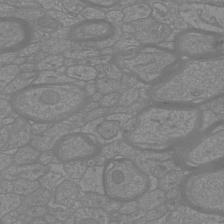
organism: Mouse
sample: Cortical neurons